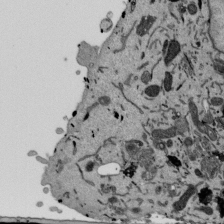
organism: Mouse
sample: ED-1 cell nuclei; centrioles